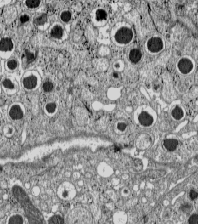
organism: C57BL Mouse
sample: Pancreatic islet